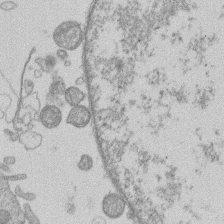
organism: Human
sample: Macrophage cells